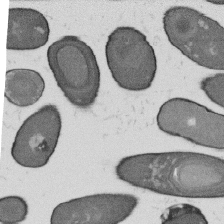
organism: B. subtilis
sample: Bacterial spore